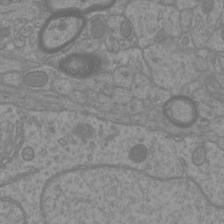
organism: Mouse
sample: Cortical neurons